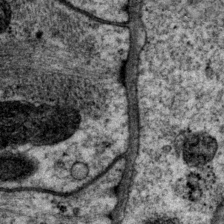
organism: P. pacificus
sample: Pharynx